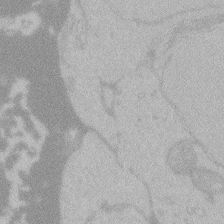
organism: Zebrafish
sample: Macrophage infected with Toxoplasma gondii